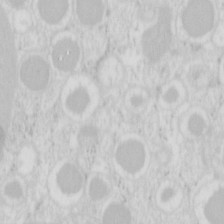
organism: Mouse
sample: Pancreas